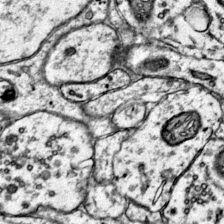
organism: Mouse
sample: Primary visual cortex